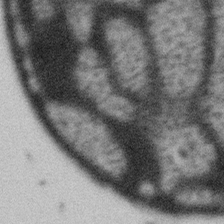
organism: Gemmata obscuriglobus